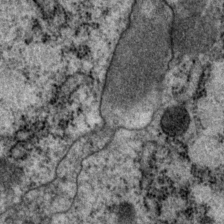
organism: P. pacificus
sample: Pharynx